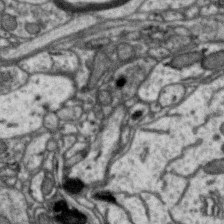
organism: Zebra finch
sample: Brain